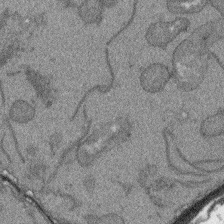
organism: Arabidopsis thaliana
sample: Root tip